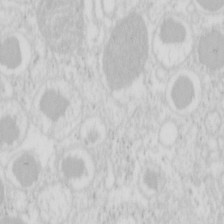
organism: Mouse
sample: Pancreas